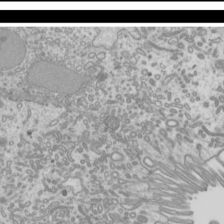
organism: Mouse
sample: Cilia; mouse epididymis